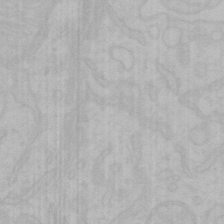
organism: Mouse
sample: Choroid plexus